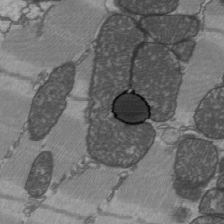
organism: C57BL Mouse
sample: Heart